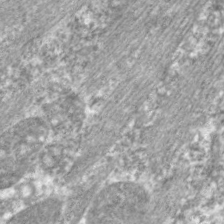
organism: C. elegans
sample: Pharynx